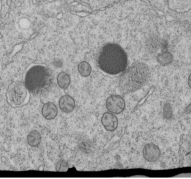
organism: C. elegans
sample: C. elegans embryo early stage